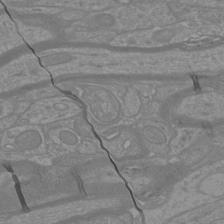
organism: Mouse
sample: Cortical neurons